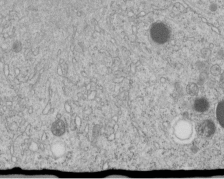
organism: C. elegans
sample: C. elegans embryo early stage